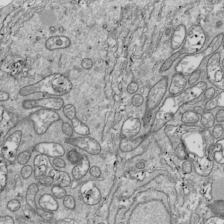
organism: Drosophila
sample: Cell division; meiosis; drosophila spermatocytes